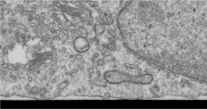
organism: Human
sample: Centriole in RPE cells